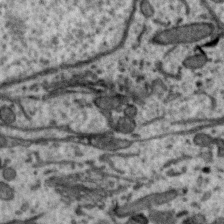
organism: Zebra finch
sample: Brain